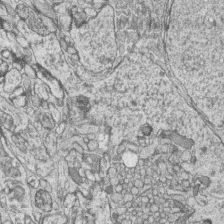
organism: Zebrafish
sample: synaptic ribbons in rod cells and cone cells